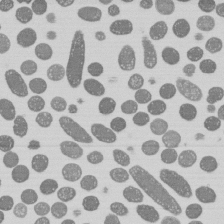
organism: E. coli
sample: Bacterial nucleoid